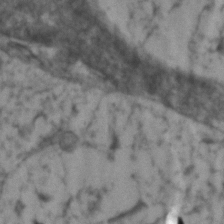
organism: Zebrafish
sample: Zebrafish embryo